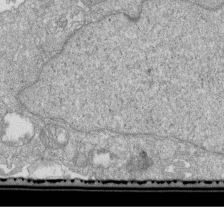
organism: Human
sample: HeLa cell HIV synapse